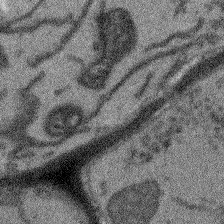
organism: Arabidopsis thaliana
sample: Root tip